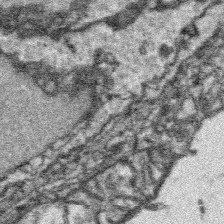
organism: Platynereis dumerilii